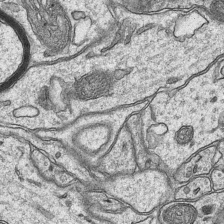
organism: Mouse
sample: CA1 Hippocampus